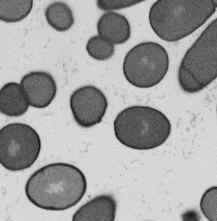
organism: B. subtilis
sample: Bacterial spore